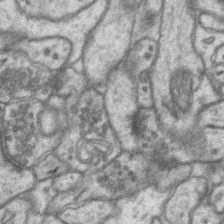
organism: Mouse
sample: CA1 Hippocampus